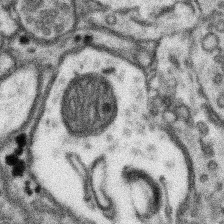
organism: Mouse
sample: Somatosensory cortex neuropil